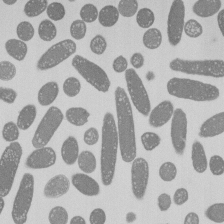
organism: E. coli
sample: Bacterial nucleoid